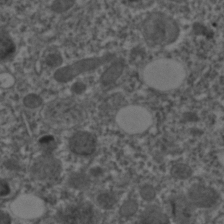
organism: C. elegans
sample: C. elegans embryo